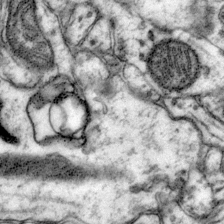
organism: Mouse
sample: Primary visual cortex